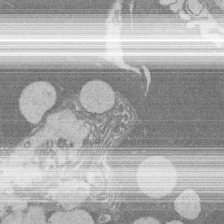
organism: Rat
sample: Salivary granule